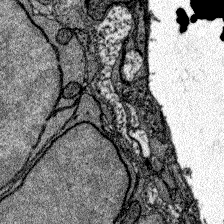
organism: Zebrafish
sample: Larval olfactory bulb